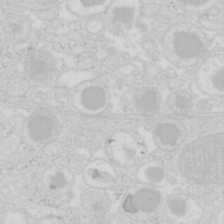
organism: Mouse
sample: Pancreas